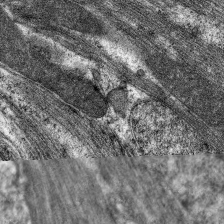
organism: C. elegans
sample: Pharynx